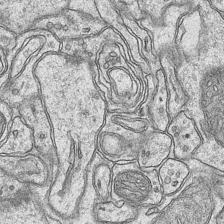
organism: Mouse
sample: CA1 Hippocampus